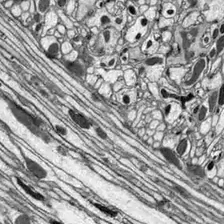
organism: Drosophila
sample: Optic lobe